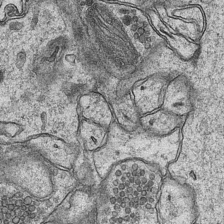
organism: Mouse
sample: CA1 Hippocampus